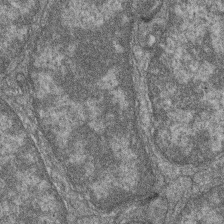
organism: Zebrafish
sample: Cilia; retinal pigment epithelium